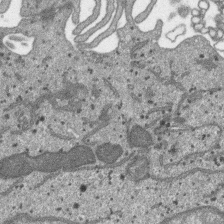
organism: Human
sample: Lung epithelial cells infected with SARS-CoV-2